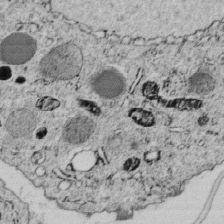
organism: C. elegans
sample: C. elegans embryo early stage